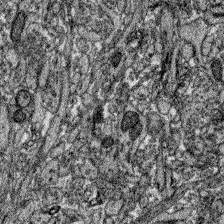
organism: Zebrafish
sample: Larval olfactory bulb